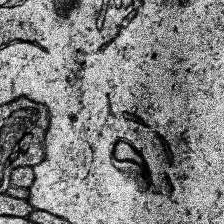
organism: Human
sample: Temporal Lobe